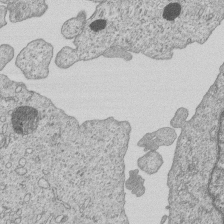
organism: Human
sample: MDA-MB-231 cells